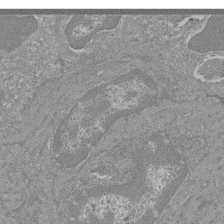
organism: Mouse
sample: Glomerulus